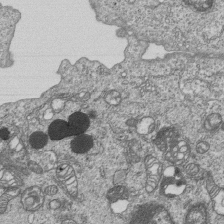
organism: Human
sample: MDA-MB-231 cells